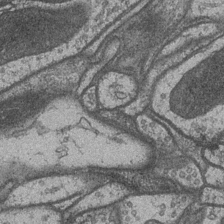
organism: Drosophila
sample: Optic medulla